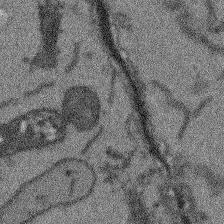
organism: Arabidopsis thaliana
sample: Root tip